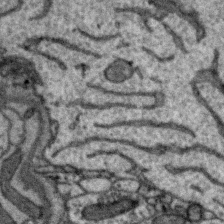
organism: Zebra finch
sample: Brain